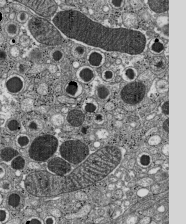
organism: C57BL Mouse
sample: Pancreatic islet